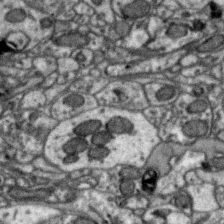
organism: Zebra finch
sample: Brain